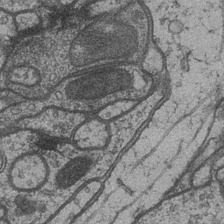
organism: Drosophila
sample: Optic medulla